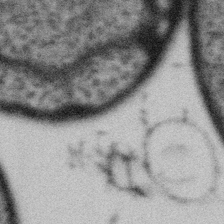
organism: Gemmata obscuriglobus